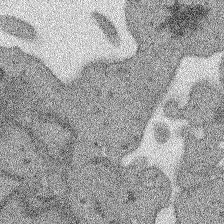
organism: Human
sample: HeLa cells